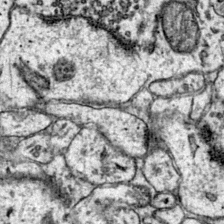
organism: Mouse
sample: Primary visual cortex